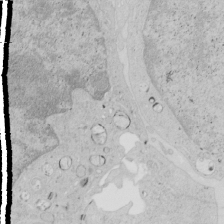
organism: Human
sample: Mitochondria in HCT116 cells